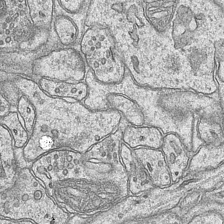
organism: Mouse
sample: CA1 Hippocampus